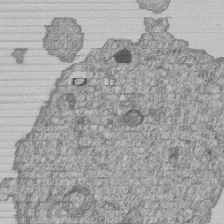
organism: Human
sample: MDA-MB-231 cells